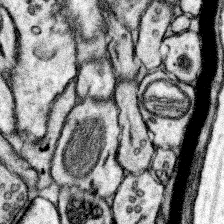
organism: Mouse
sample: Somatosensory cortex neuropil